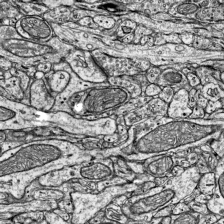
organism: Mouse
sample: Visual Cortex